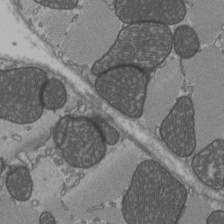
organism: C57BL Mouse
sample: Heart